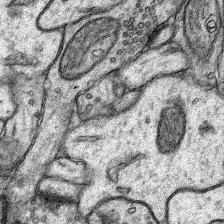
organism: Rat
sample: Hippocampus